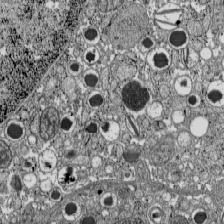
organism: C57BL Mouse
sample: Pancreatic islet